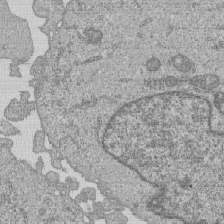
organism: Human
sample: MDA-MB-231 cells